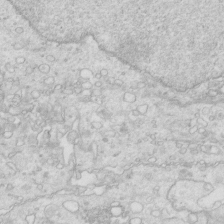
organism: Mouse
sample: Multiciliated cells